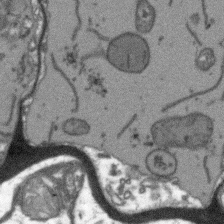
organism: Arabidopsis thaliana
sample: Root tip